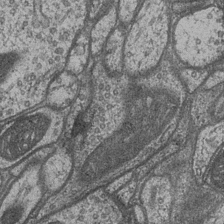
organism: Drosophila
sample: Optic medulla